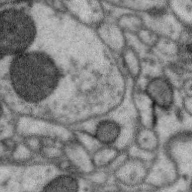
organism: Zebra finch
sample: Brain